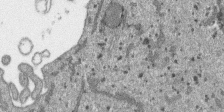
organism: Human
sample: Lung epithelial cells infected with SARS-CoV-2